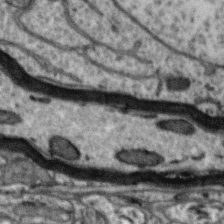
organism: Zebra finch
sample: Brain